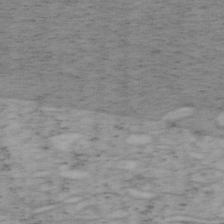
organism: Mouse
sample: OT-I killer T cells with ID8 ovarian cancer cells